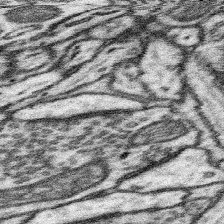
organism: Mouse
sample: Somatosensory cortex neuropil